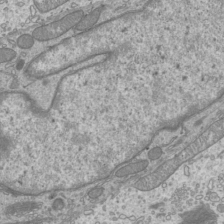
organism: Mouse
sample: Cilia; mouse epididymis